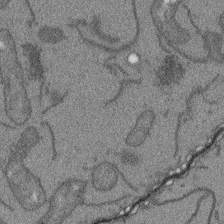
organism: Arabidopsis thaliana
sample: Root tip